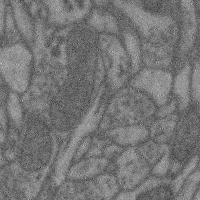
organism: Mouse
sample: Cerebral cortex